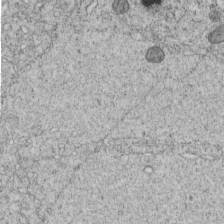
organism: C. elegans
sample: C. elegans embryo early stage